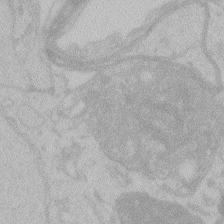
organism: Zebrafish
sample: Macrophage infected with Toxoplasma gondii